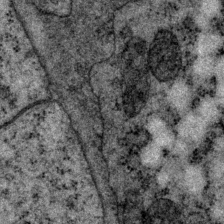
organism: P. pacificus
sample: Pharynx